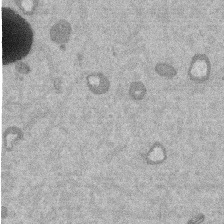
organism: Mouse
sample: Dividing mouse embryo 1 cell stage